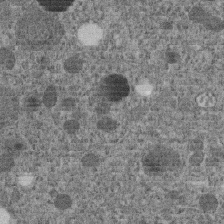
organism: C. elegans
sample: C. elegans embryo early stage